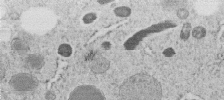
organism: C. elegans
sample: C. elegans embryo early stage